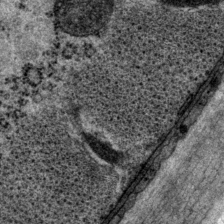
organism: P. pacificus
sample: Pharynx